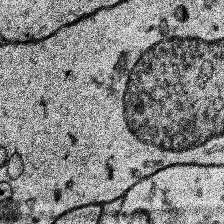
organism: Human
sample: Temporal Lobe